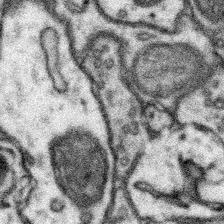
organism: Mouse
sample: Somatosensory cortex neuropil